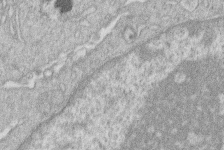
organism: Human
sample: Macrophage cells